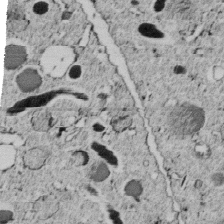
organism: C. elegans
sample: C. elegans embryo early stage